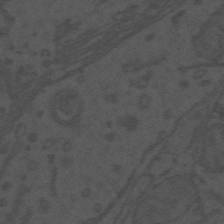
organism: Mouse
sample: Suprachiasmatic nucleus